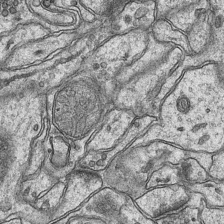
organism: Mouse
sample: CA1 Hippocampus